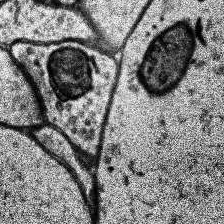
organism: Human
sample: Temporal Lobe